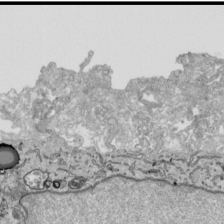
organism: Human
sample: Mitochondria in HCT116 cells